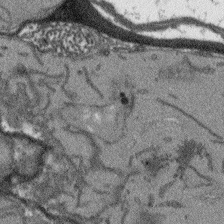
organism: Arabidopsis thaliana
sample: Root tip